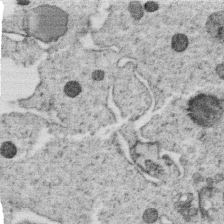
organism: C. elegans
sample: C. elegans oocyte; sperm cells